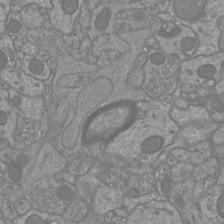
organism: Mouse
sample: Cortical neurons